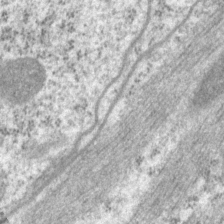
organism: P. pacificus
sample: Pharynx